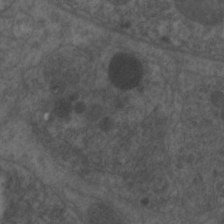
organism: C. elegans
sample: Pharynx